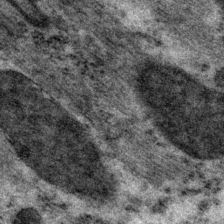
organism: P. pacificus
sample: Pharynx